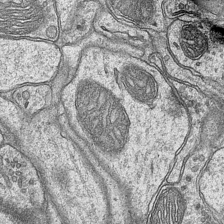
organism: Mouse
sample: CA1 Hippocampus